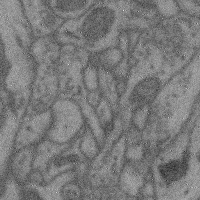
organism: Mouse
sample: Cerebral cortex